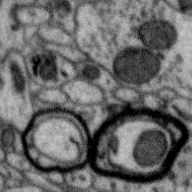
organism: Zebra finch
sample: Brain